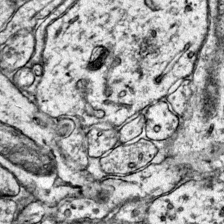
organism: Mouse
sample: Primary visual cortex